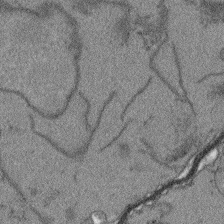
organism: Arabidopsis thaliana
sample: Root tip